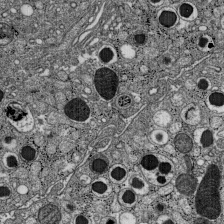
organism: C57BL Mouse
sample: Pancreatic islet